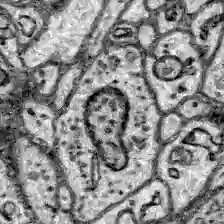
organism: Zebrafish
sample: Brain